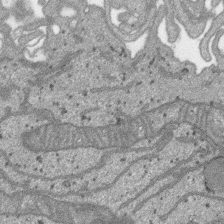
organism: Human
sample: Lung epithelial cells infected with SARS-CoV-2